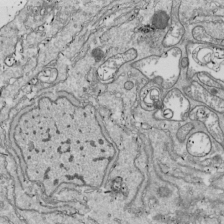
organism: Drosophila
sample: Cell division; meiosis; drosophila spermatocytes